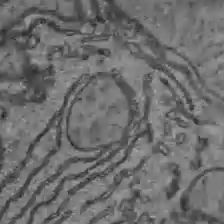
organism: C57BL Mouse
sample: Liver